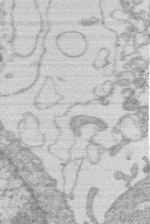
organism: Human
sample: Macrophage cells